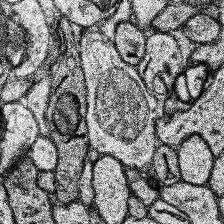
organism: Human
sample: Temporal Lobe